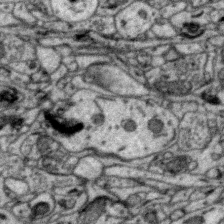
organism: Zebra finch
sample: Brain